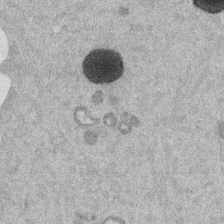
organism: Mouse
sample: Dividing mouse embryo 1 cell stage